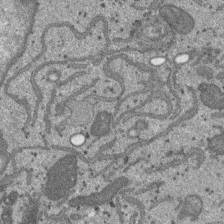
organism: Human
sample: Lung epithelial cells infected with SARS-CoV-2